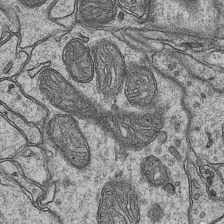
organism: Mouse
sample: CA1 Hippocampus